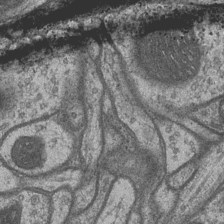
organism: Drosophila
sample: Optic medulla